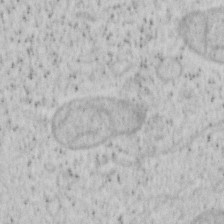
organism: Human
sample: HeLa cells